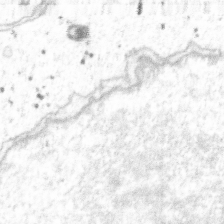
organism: Human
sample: HeLa cells